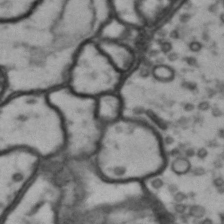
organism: Drosophila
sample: Brain